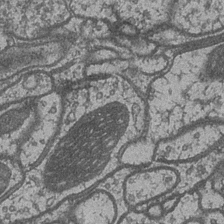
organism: Drosophila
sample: Optic medulla